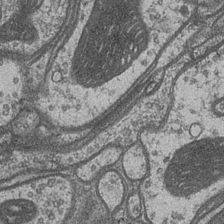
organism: Drosophila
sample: Optic medulla